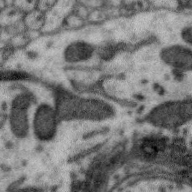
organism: Zebra finch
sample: Brain